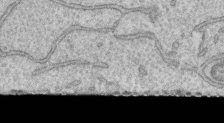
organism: Human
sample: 1205lu cells